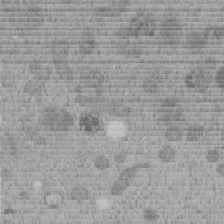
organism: C. elegans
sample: C. elegans embryo early stage